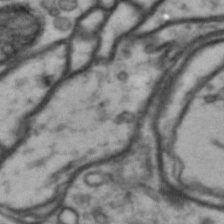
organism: Drosophila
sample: Brain